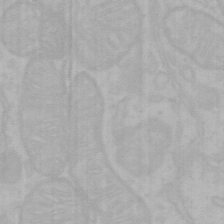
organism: Mouse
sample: Choroid plexus